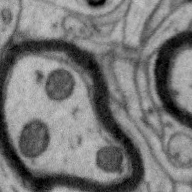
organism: Zebra finch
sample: Brain